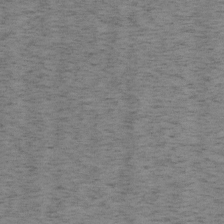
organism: Mouse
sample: OT-I killer T cells with ID8 ovarian cancer cells